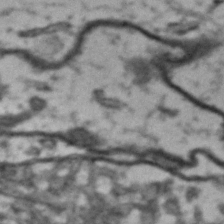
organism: Drosophila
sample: Brain